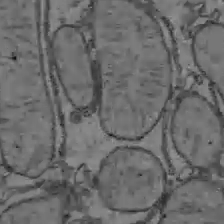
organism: C57BL Mouse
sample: Liver